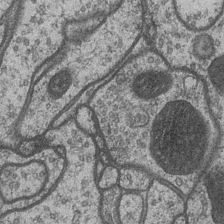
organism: Drosophila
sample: Optic medulla